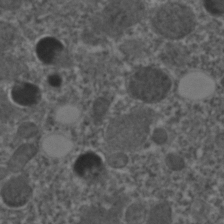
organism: C. elegans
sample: C. elegans embryo